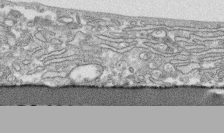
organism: Human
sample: CRL-1474